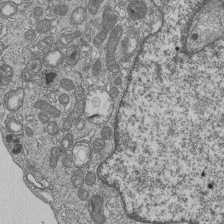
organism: Human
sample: MDA-MB-231 cells